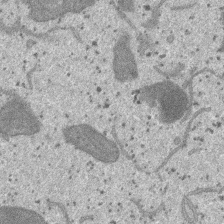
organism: Human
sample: Lung epithelial cells infected with SARS-CoV-2